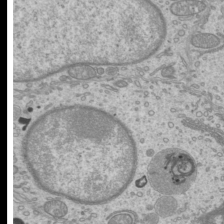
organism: Mouse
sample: Cilia; mouse epididymis